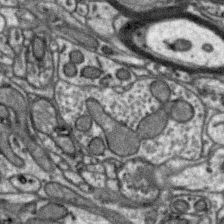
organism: Zebra finch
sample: Brain